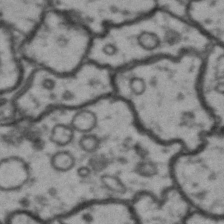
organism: Drosophila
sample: Brain